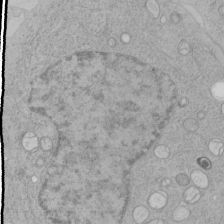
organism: Human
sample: Mitochondria in HCT116 cells